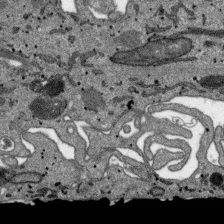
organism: Human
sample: Lung epithelial cells, uninfected (mock) control